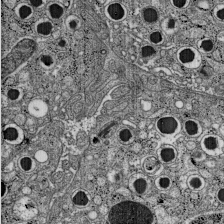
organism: C57BL Mouse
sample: Pancreatic islet